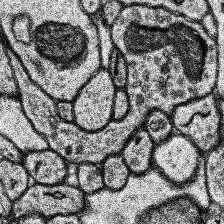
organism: Human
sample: Temporal Lobe